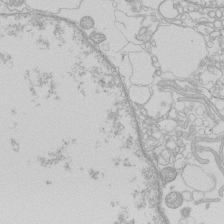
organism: Human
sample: Macrophage cells